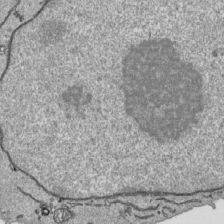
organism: Human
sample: Mitochondria in HCT116 cells